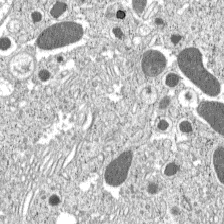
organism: C57BL Mouse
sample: Pancreatic islet